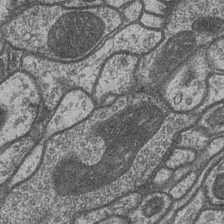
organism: Drosophila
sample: Optic medulla